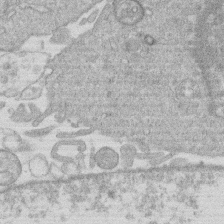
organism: Human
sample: Macrophage cells